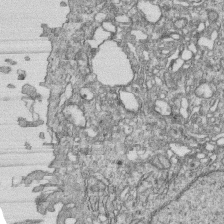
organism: Human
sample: HeLa cell HIV synapse